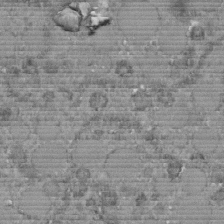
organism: C. elegans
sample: C. elegans embryo early stage